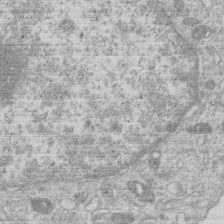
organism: Human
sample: Macrophage cells